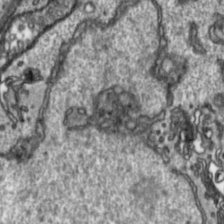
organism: Toxoplasma gondii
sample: Parasites in a vacuole inside a host cell